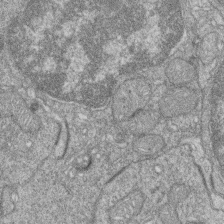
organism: Zebrafish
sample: Cilia; retinal pigment epithelium